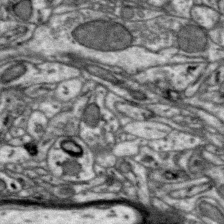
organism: Zebra finch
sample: Brain